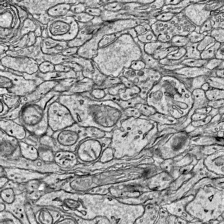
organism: Mouse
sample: Visual Cortex